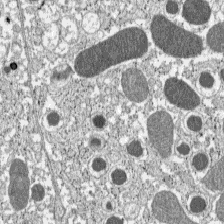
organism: C57BL Mouse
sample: Pancreatic islet